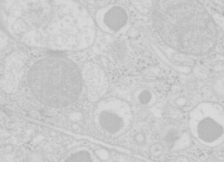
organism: Mouse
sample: Pancreas